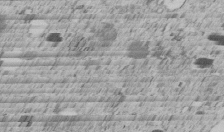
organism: C. elegans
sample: C. elegans embryo early stage